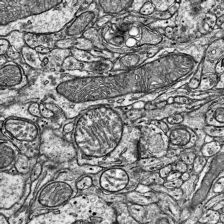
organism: Mouse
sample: Visual Cortex